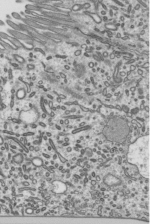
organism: Mouse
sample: Mouse epididymis efferent ductule cilia